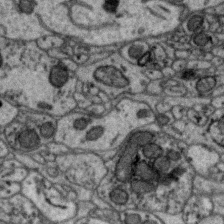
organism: Zebra finch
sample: Brain